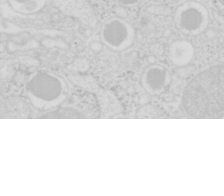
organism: Mouse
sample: Pancreas